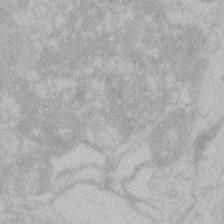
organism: Zebrafish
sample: Macrophage infected with Toxoplasma gondii